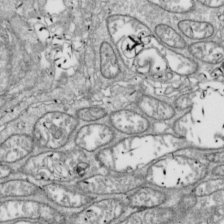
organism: Drosophila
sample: Cell division; meiosis; drosophila spermatocytes